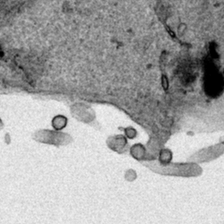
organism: Human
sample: Mitochondria in HCT116 cells